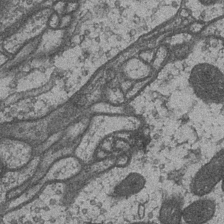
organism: Drosophila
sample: Optic medulla